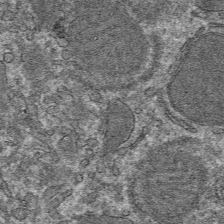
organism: Mouse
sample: Mouse hepatocytes